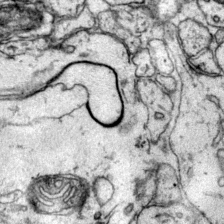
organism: Mouse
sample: Primary visual cortex